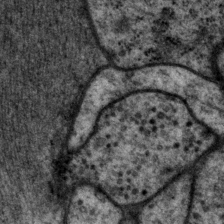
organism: P. pacificus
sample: Pharynx